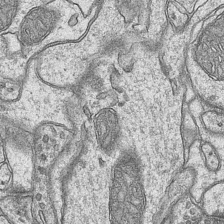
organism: Mouse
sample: CA1 Hippocampus